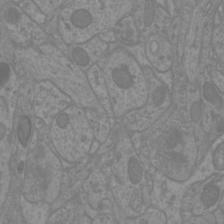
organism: Mouse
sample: Cortical neurons